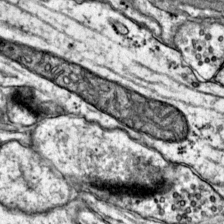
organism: Mouse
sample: Primary visual cortex